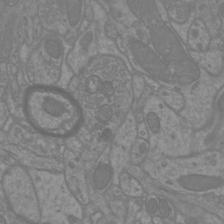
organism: Mouse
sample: Cortical neurons